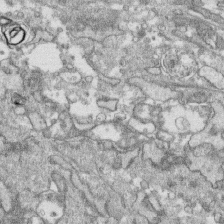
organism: Human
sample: CRL-1474